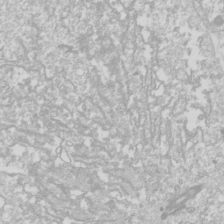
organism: Drosophila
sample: Cell division; meiosis; drosophila spermatocytes